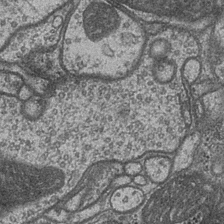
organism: Drosophila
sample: Optic medulla